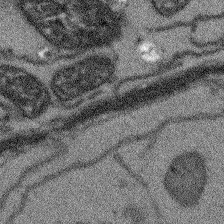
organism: Arabidopsis thaliana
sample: Root tip